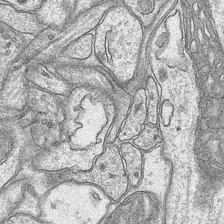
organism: Mouse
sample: CA1 Hippocampus